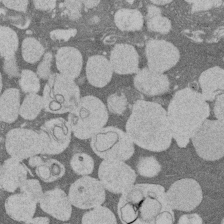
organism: Rat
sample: Salivary granule